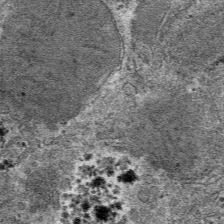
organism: Mouse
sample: Mouse hepatocytes